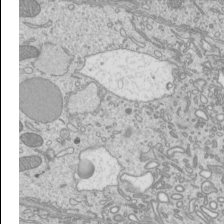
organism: Mouse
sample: Cilia; mouse epididymis